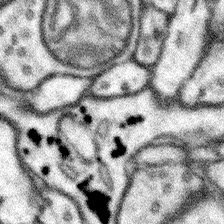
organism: Mouse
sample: Somatosensory cortex neuropil